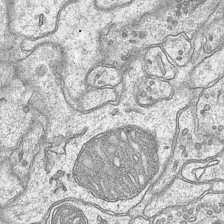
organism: Mouse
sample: CA1 Hippocampus